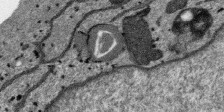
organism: Human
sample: Lung epithelial cells, uninfected (mock) control